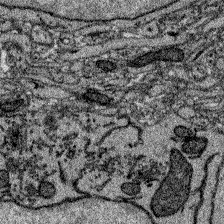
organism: Zebrafish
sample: Larval olfactory bulb